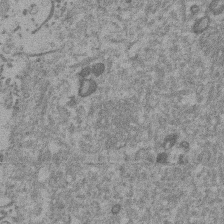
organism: Mouse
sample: Dividing mouse embryo 1 cell stage